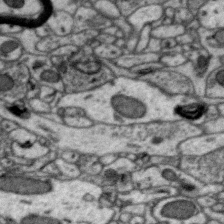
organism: Zebra finch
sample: Brain